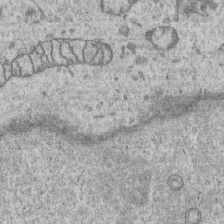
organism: Human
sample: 1205lu cells